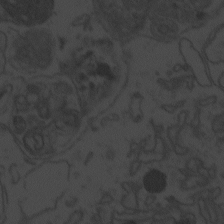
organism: Zebrafish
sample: Macrophage infected with Toxoplasma gondii